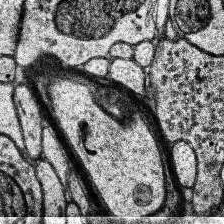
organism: Human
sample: Temporal Lobe